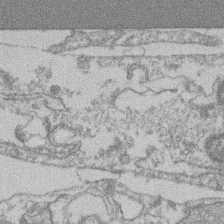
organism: Mouse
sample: T cell stromal cell synapse